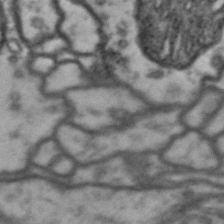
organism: Drosophila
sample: Brain